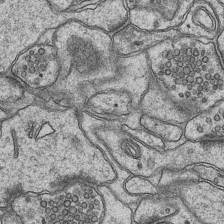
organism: Mouse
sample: CA1 Hippocampus